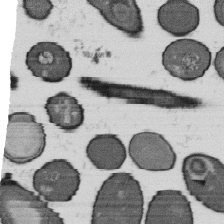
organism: B. subtilis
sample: Bacterial spore